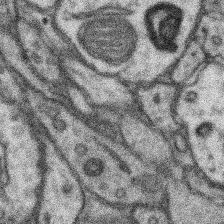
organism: Mouse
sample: Somatosensory cortex neuropil